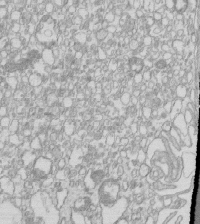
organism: Mouse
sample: Macrophages